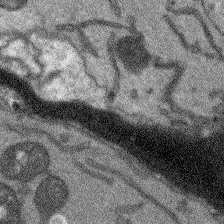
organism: Arabidopsis thaliana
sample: Root tip